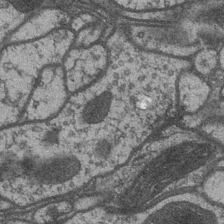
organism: Drosophila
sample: Optic medulla